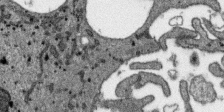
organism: Human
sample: Lung epithelial cells, uninfected (mock) control